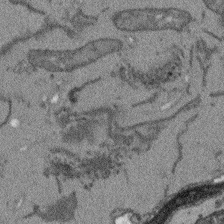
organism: Arabidopsis thaliana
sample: Root tip